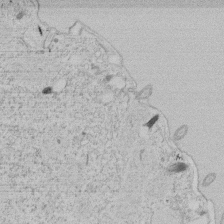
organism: Tetrahymena